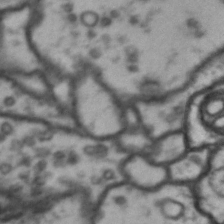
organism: Drosophila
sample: Brain